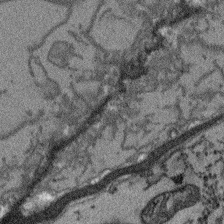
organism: Arabidopsis thaliana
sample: Root tip